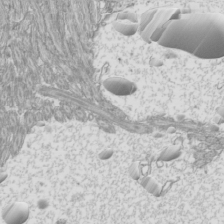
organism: Mouse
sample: Cilia; mouse epididymis